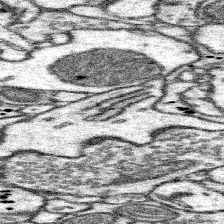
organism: Mouse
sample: Somatosensory cortex neuropil